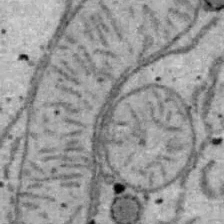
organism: Mouse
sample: Liver from an obese (ob/ob) mouse